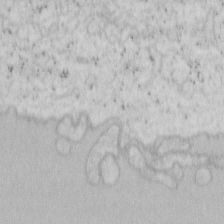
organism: Human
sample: HeLa cells